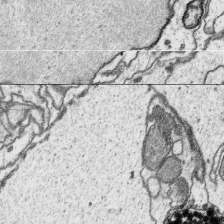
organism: Platynereis dumerilii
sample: Parapodia